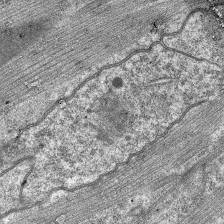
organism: C. elegans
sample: Pharynx